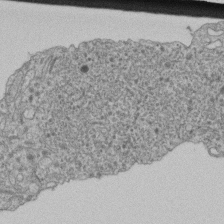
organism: Human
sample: Retinal organoid Rod and Cone cells